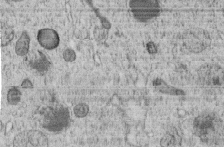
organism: C. elegans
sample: C. elegans embryo early stage